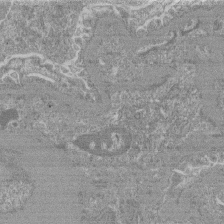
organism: Mouse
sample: Glomerulus